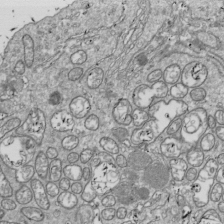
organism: Drosophila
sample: Cell division; meiosis; drosophila spermatocytes